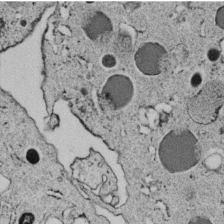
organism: C. elegans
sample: C. elegans embryo early stage